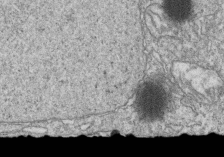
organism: Human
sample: HeLa cell HIV synapse